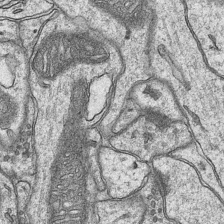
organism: Mouse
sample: CA1 Hippocampus